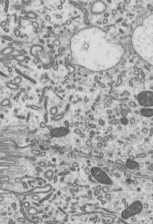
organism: Mouse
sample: Mouse epididymis efferent ductule cilia